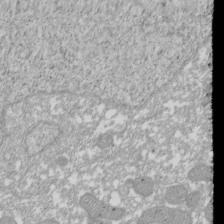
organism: Xenopus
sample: Cilia; centrioles in frog embryo cells